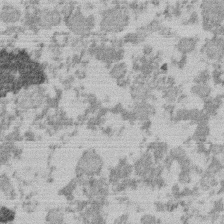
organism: Mouse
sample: Dividing mouse embryo 1 cell stage